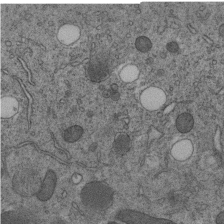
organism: C. elegans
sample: C. elegans embryo early stage